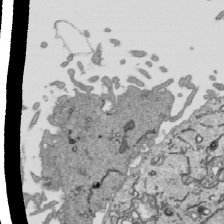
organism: Human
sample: Mitochondria in HCT116 cells